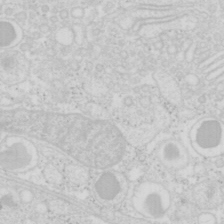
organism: Mouse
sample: Pancreas